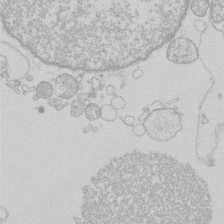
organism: Human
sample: Macrophage cells